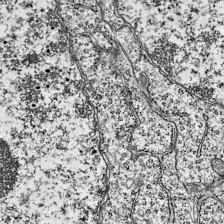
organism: Mouse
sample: Visual Cortex